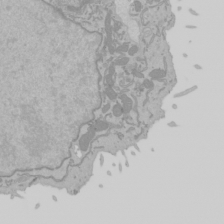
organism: Mouse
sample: Cancer cell death in ED-1 cells